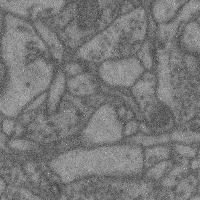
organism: Mouse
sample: Cerebral cortex